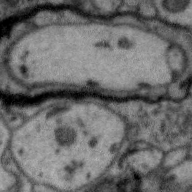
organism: Zebra finch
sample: Brain